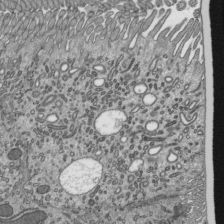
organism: Mouse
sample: Mouse epididymis efferent ductule cilia